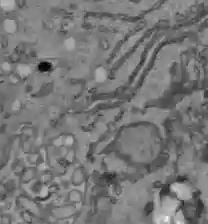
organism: C57BL Mouse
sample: Liver